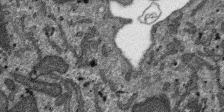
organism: Human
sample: Lung epithelial cells infected with SARS-CoV-2